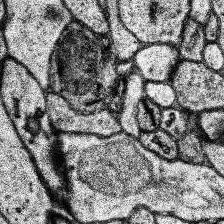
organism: Human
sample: Temporal Lobe